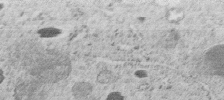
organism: C. elegans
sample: C. elegans embryo early stage